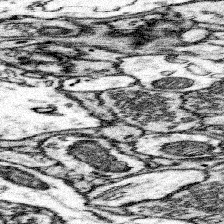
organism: Mouse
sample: Somatosensory cortex neuropil